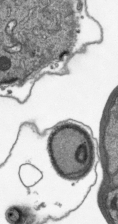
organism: Plasmodium falciparum